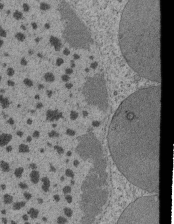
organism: Tetrahymena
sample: Cilia in tetrahymena